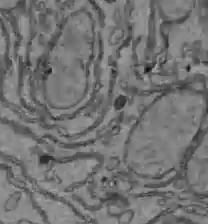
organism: C57BL Mouse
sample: Liver